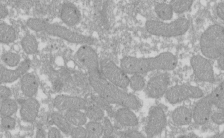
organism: Xenopus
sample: Cilia; centrioles in frog embryo cells